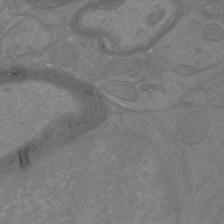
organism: Mouse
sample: Cortical neurons